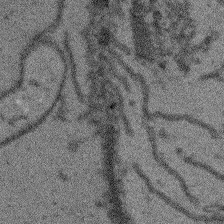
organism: Arabidopsis thaliana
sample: Root tip